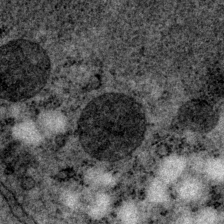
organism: P. pacificus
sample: Pharynx